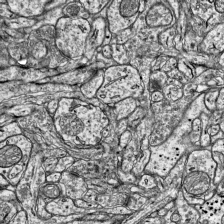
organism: Mouse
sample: Visual Cortex